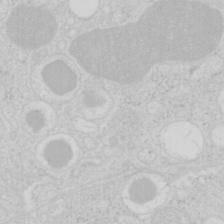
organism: Mouse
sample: Pancreas